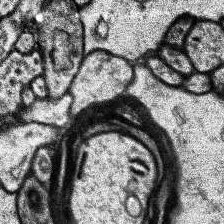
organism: Human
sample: Temporal Lobe